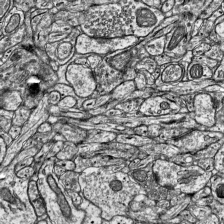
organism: Mouse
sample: Visual Cortex